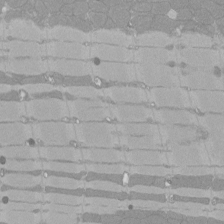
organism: Rat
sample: Left ventricle